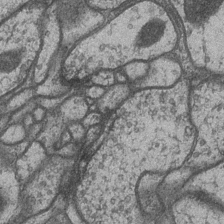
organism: Drosophila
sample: Optic medulla